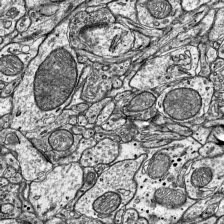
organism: Mouse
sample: Visual Cortex